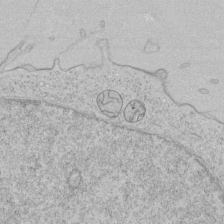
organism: Human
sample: Mitochondria in HCT116 cells